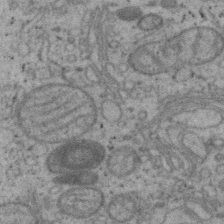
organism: Human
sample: HeLa cells